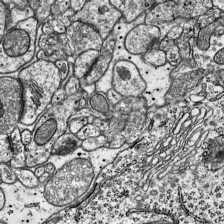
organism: Mouse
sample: Visual Cortex